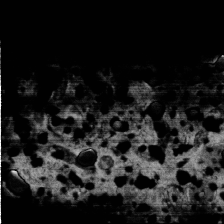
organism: C. elegans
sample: C. elegans embryo early stage